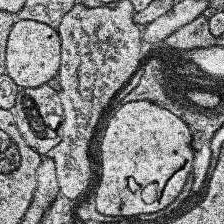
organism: Human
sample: Temporal Lobe